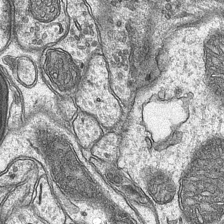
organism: Mouse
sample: CA1 Hippocampus